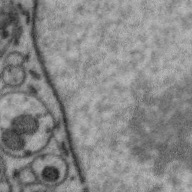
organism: Zebra finch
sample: Brain